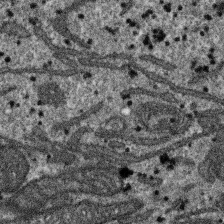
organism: Human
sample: Lung epithelial cells infected with SARS-CoV-2